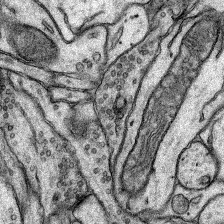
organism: Rat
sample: Hippocampus